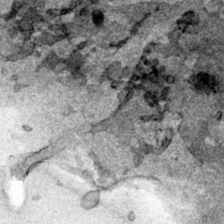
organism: Human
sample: Mitochondria in HCT116 cells